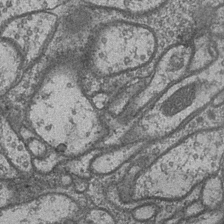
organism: Drosophila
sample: Optic medulla